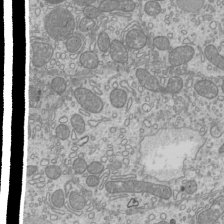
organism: Mouse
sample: Cilia; mouse epididymis